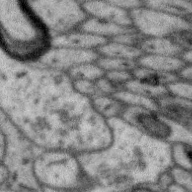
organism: Zebra finch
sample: Brain